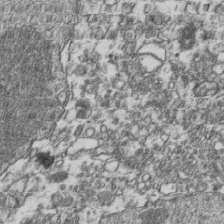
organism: Human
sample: Activated Jurkat CD4+ T cells